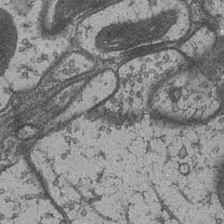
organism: Drosophila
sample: Optic medulla